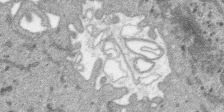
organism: Human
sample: Lung epithelial cells infected with SARS-CoV-2